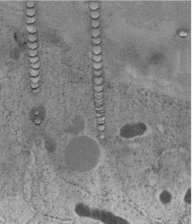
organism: C. elegans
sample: C. elegans embryo early stage